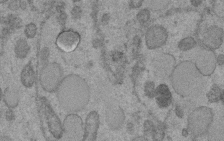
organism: C. elegans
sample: C. elegans embryo early stage